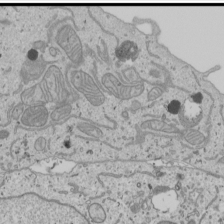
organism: Human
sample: Mitochondria in U2OS cells